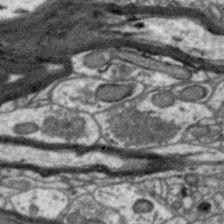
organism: Zebra finch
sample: Brain